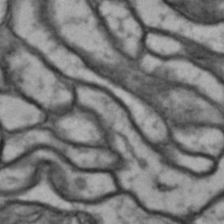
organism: Drosophila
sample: Brain